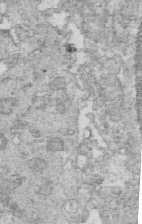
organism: Mouse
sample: Multiciliated cells